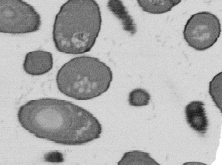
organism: B. subtilis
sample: Bacterial spore